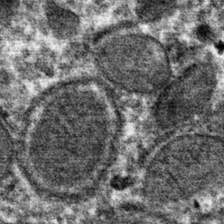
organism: Mouse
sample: Mouse hepatocytes